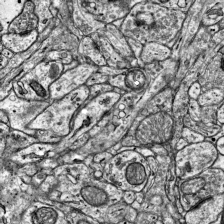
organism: Mouse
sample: Visual Cortex